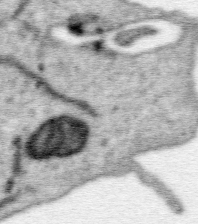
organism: Human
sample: HeLa cells